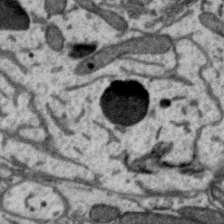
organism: Zebra finch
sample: Brain